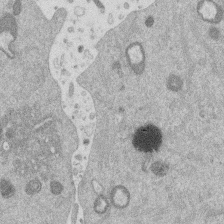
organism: Mouse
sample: Dividing mouse embryo 1 cell stage